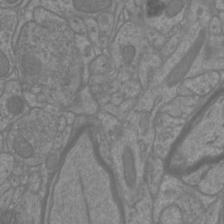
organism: Mouse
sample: Cortical neurons